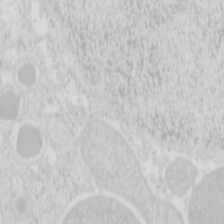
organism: Mouse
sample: Pancreas